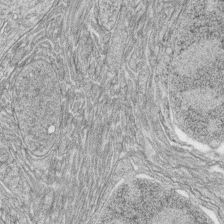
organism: Zebrafish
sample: synaptic ribbons in rod cells and cone cells